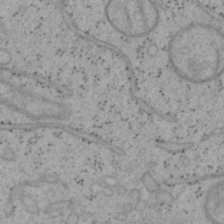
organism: Human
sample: HeLa cells